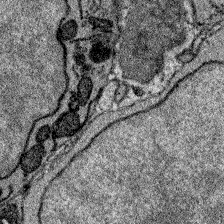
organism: Zebrafish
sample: Larval olfactory bulb